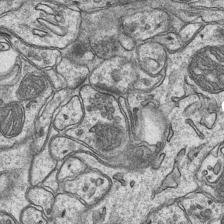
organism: Mouse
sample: CA1 Hippocampus